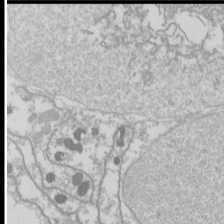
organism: Drosophila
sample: Cell division; meiosis; drosophila spermatocytes